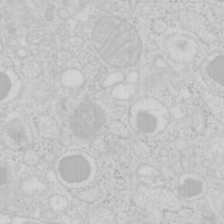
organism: Mouse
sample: Pancreas